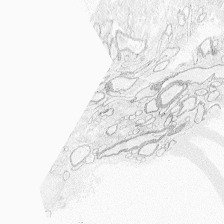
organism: Zebrafish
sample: Whole-Brain